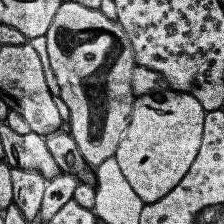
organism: Human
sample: Temporal Lobe